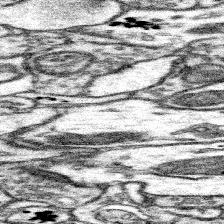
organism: Mouse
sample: Somatosensory cortex neuropil